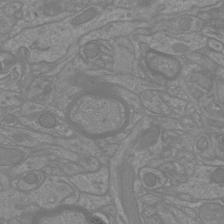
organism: Mouse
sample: Cortical neurons